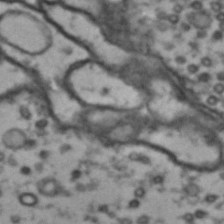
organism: Drosophila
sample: Brain